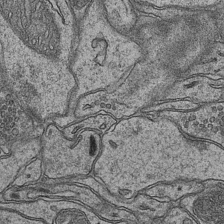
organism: Mouse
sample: CA1 Hippocampus